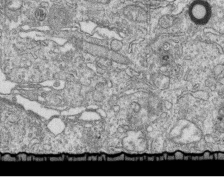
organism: Human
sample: HeLa cell HIV synapse